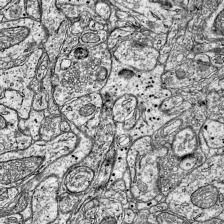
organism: Mouse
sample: Visual Cortex